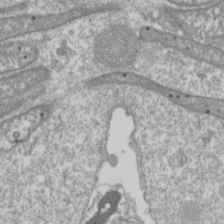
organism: Drosophila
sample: Cell division; meiosis; drosophila spermatocytes